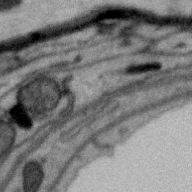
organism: Zebra finch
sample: Brain